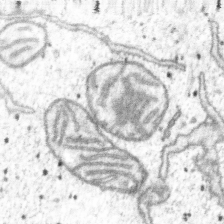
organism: Human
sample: HeLa cells